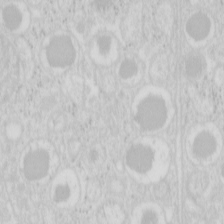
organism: Mouse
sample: Pancreas